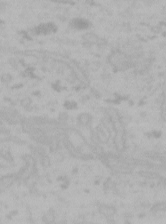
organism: Mouse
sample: Choroid plexus